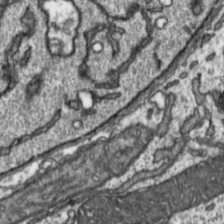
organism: Toxoplasma gondii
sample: Parasites in a vacuole inside a host cell